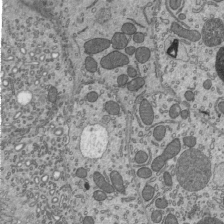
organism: Mouse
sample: Mouse epididymis efferent ductule cilia